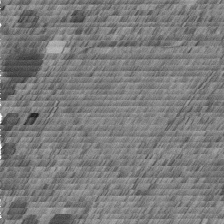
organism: C. elegans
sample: C. elegans embryo early stage